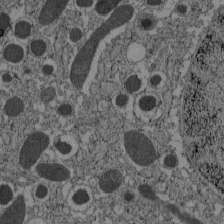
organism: C57BL Mouse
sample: Pancreatic islet